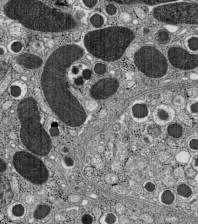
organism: C57BL Mouse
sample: Pancreatic islet